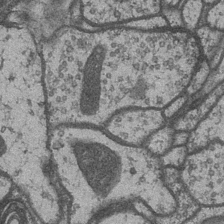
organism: Drosophila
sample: Optic medulla